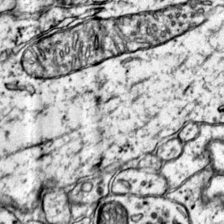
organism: Mouse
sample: Primary visual cortex